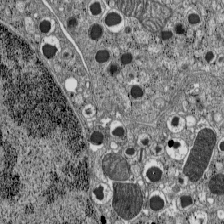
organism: C57BL Mouse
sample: Pancreatic islet